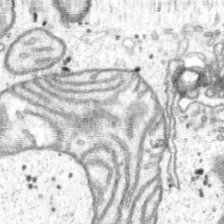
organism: Human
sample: HeLa cells